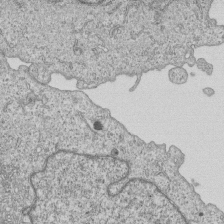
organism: Human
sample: MDA-MB-231 cells